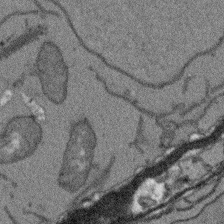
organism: Arabidopsis thaliana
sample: Root tip